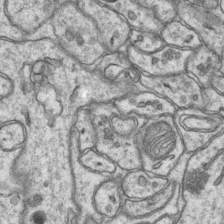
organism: Mouse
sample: CA1 Hippocampus